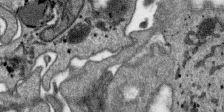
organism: Human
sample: Lung epithelial cells, uninfected (mock) control